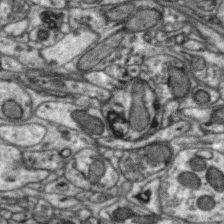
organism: Zebra finch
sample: Brain